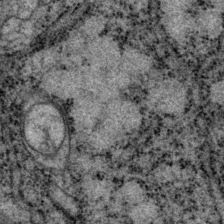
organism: P. pacificus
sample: Pharynx